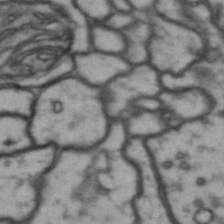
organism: Drosophila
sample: Brain